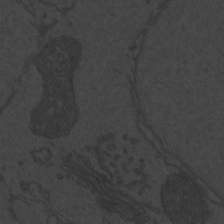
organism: Zebrafish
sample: Macrophage infected with Toxoplasma gondii